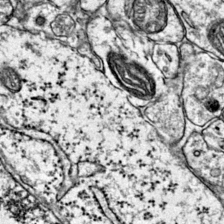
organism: Mouse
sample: Primary visual cortex